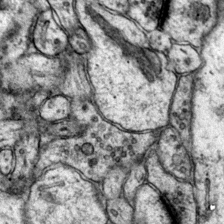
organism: Mouse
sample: Primary visual cortex